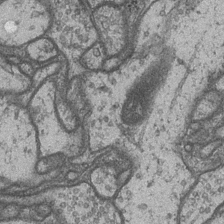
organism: Drosophila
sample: Optic medulla